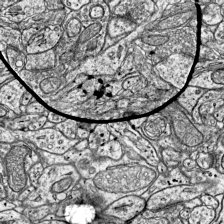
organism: Mouse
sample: Visual Cortex